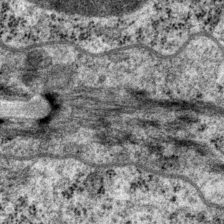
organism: P. pacificus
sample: Pharynx